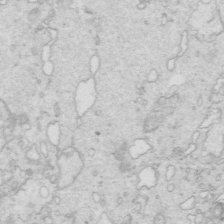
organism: Mouse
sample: Multiciliated cells